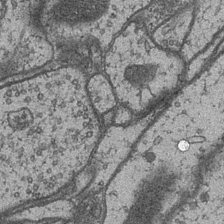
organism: Drosophila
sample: Optic medulla